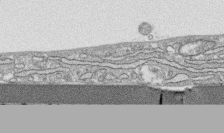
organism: Human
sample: CRL-1474